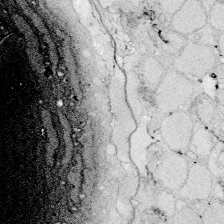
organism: Zebrafish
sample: Whole-Brain